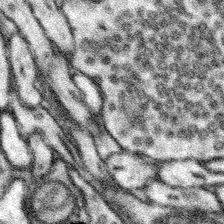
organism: Mouse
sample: Somatosensory cortex neuropil